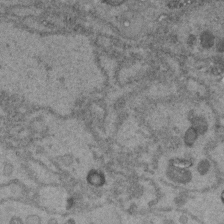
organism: C. elegans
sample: C. elegans embryo early stage